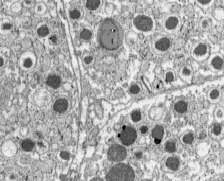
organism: C57BL Mouse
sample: Pancreatic islet